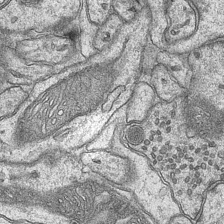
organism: Mouse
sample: CA1 Hippocampus